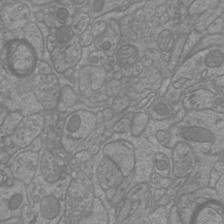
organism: Mouse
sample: Cortical neurons